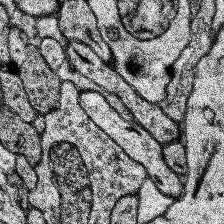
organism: Human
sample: Temporal Lobe